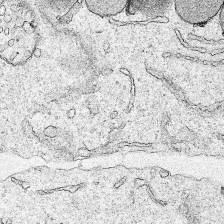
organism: Human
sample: Mitochondria in HCT116 cells